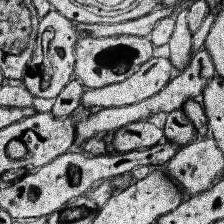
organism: Human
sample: Temporal Lobe